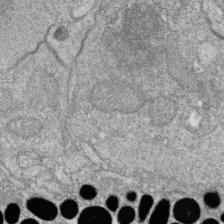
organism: Zebrafish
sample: Cilia; retinal pigment epithelium